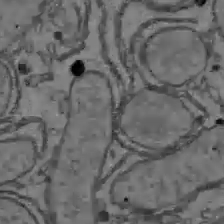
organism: C57BL Mouse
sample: Liver